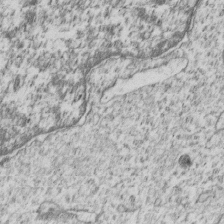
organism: Human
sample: MDA-MB-231 cells